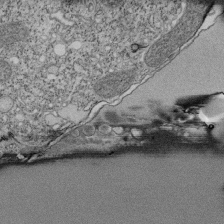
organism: Tetrahymena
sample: Cilia in tetrahymena